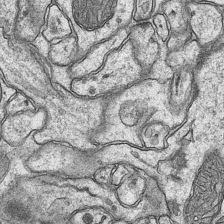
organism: Mouse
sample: CA1 Hippocampus